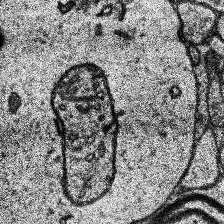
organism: Human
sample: Temporal Lobe